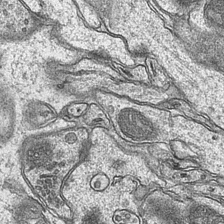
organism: Mouse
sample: CA1 Hippocampus